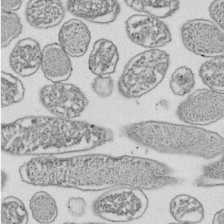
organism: E. coli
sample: Bacterial nucleoid